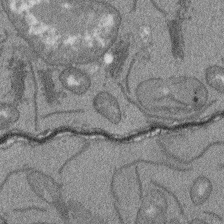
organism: Arabidopsis thaliana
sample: Root tip